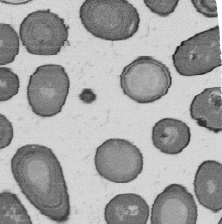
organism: B. subtilis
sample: Bacterial spore